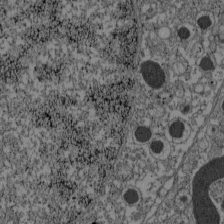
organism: C57BL Mouse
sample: Pancreatic islet